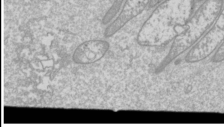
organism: Drosophila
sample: Cell division; meiosis; drosophila spermatocytes